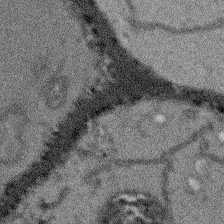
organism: Arabidopsis thaliana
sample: Root tip